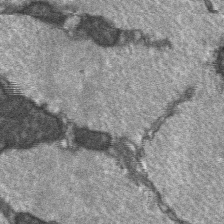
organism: C57BL Mouse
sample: Soleus